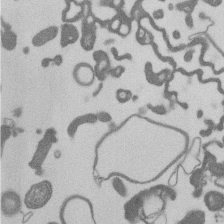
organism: Mouse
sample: Dividing mouse embryo 1 cell stage